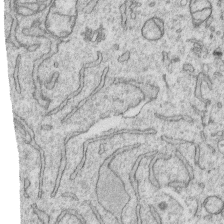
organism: Human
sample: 1205lu cells